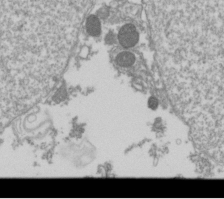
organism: Drosophila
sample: Cell division; meiosis; drosophila spermatocytes